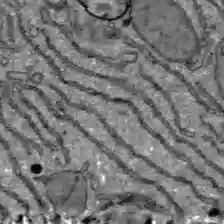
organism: C57BL Mouse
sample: Liver